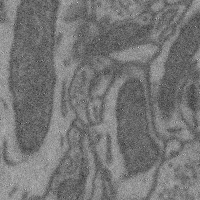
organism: Mouse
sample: Cerebral cortex